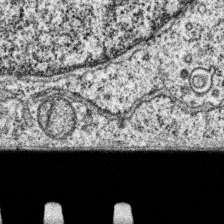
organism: Human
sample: HeLa cells